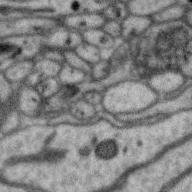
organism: Zebra finch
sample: Brain